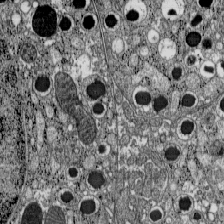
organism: C57BL Mouse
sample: Pancreatic islet